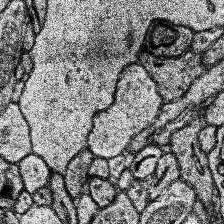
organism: Human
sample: Temporal Lobe